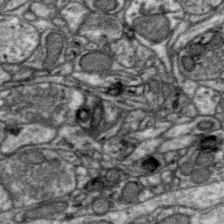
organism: Zebra finch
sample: Brain